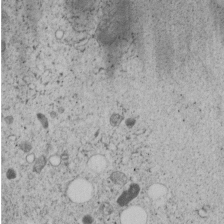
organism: C. elegans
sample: C. elegans embryo early stage